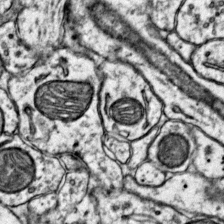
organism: Mouse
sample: Primary visual cortex